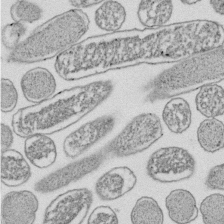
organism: E. coli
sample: Bacterial nucleoid